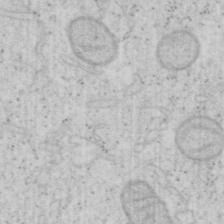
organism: Human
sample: HeLa cells